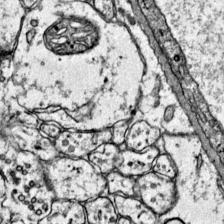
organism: Mouse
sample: Primary visual cortex